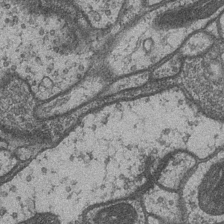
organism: Drosophila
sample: Optic medulla